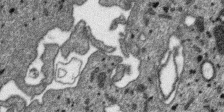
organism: Human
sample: Lung epithelial cells infected with SARS-CoV-2